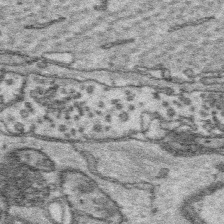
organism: Platynereis dumerilii